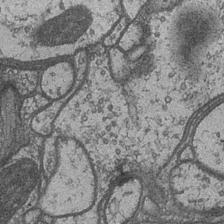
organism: Drosophila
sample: Optic medulla